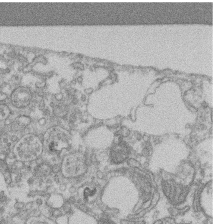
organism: Mouse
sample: T cell stromal cell synapse